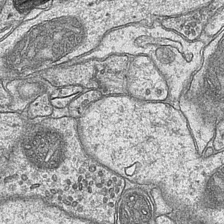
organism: Mouse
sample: CA1 Hippocampus